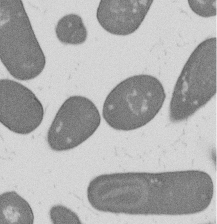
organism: B. subtilis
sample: Bacterial spore